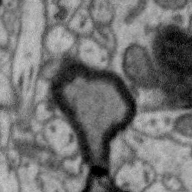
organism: Zebra finch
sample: Brain